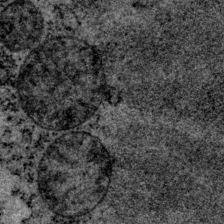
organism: P. pacificus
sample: Pharynx